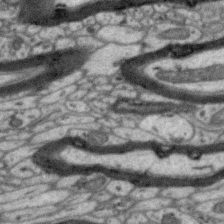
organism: Zebra finch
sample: Brain